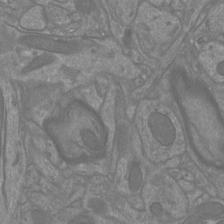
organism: Mouse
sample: Cortical neurons